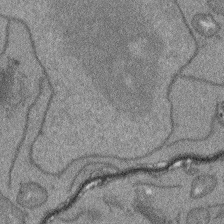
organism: Arabidopsis thaliana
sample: Root tip